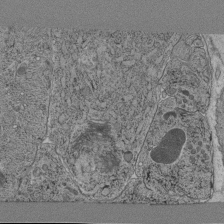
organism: C. elegans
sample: C. elegans pharynx